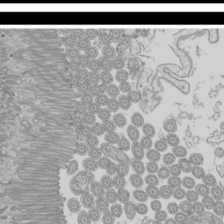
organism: Mouse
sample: Cilia; mouse epididymis